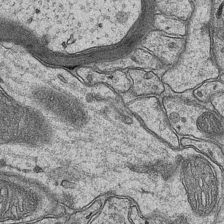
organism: Mouse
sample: CA1 Hippocampus